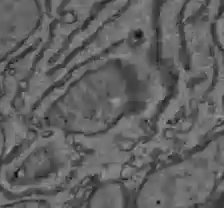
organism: C57BL Mouse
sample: Liver